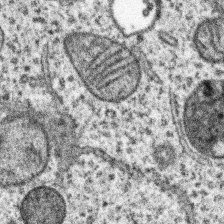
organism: Human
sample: HeLa cells